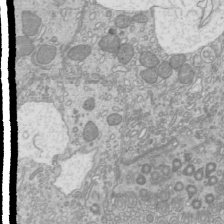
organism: Mouse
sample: Cilia; mouse epididymis